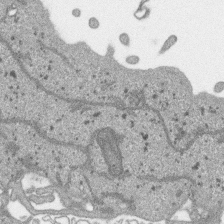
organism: Human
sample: Lung epithelial cells infected with SARS-CoV-2